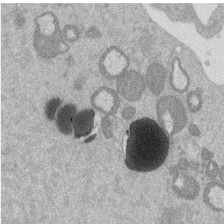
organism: Mouse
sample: Dividing mouse embryo 1 cell stage